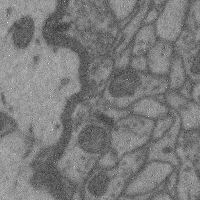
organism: Mouse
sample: Cerebral cortex